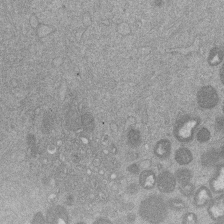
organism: Mouse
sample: Dividing mouse embryo 1 cell stage